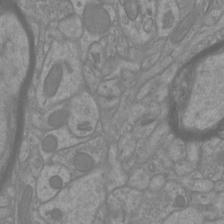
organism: Mouse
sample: Cortical neurons